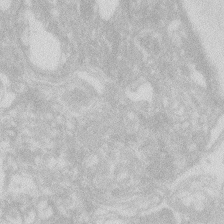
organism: Zebrafish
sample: Macrophage